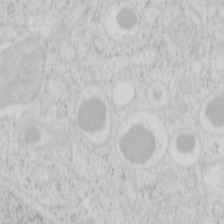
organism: Mouse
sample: Pancreas